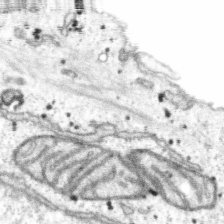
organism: Human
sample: HeLa cells